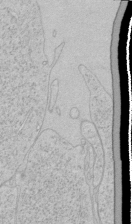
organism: Human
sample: Mitochondria in HCT116 cells